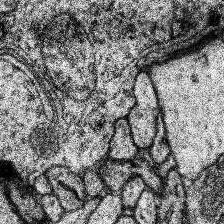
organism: Human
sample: Temporal Lobe